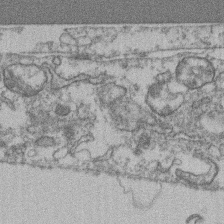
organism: Mouse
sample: T cell stromal cell synapse